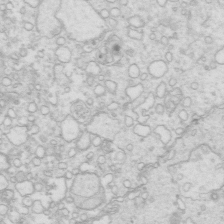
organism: Mouse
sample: Multiciliated cells